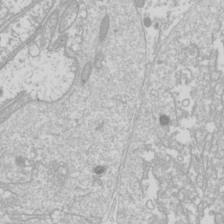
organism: Drosophila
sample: Cell division; meiosis; drosophila spermatocytes